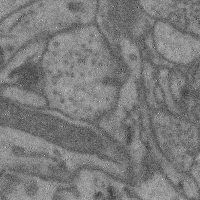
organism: Mouse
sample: Cerebral cortex